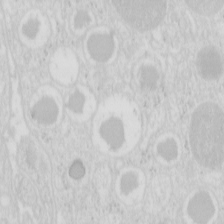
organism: Mouse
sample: Pancreas